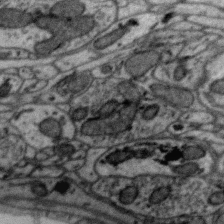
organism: Zebra finch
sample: Brain